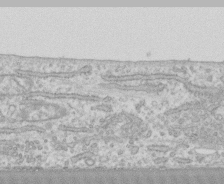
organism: Human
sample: CRL-1474